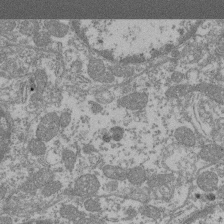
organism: Mouse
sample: Glomerulus